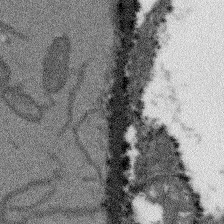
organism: Arabidopsis thaliana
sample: Root tip